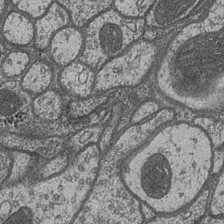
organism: Drosophila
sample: Optic medulla